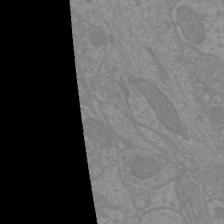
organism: Mouse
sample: Cortical neurons